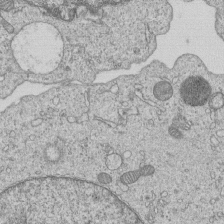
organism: Human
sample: MDA-MB-231 cells